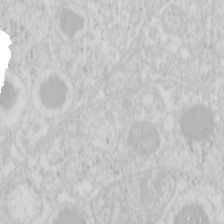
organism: Mouse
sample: Pancreas